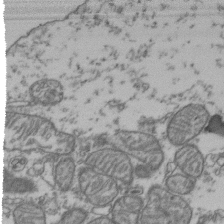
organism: Human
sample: Activated Jurkat CD4+ T cells